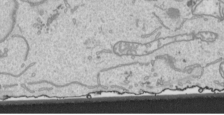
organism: Human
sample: Mitochondria in HCT116 cells